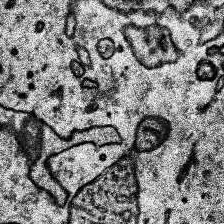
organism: Human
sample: Temporal Lobe